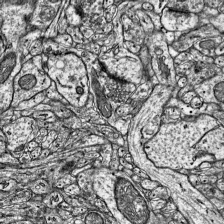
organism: Mouse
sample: Visual Cortex